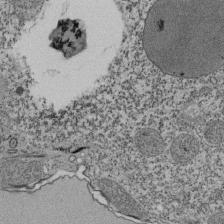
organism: Tetrahymena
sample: Cilia in tetrahymena